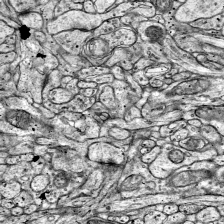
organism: Mouse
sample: Visual Cortex